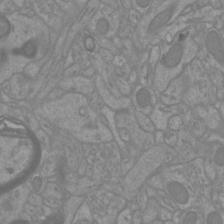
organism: Mouse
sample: Cortical neurons